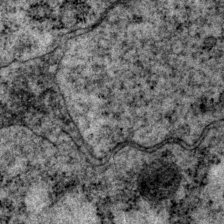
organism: P. pacificus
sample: Pharynx